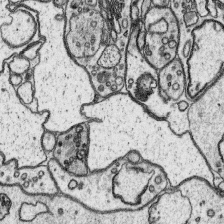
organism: Platynereis dumerilii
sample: Parapodia